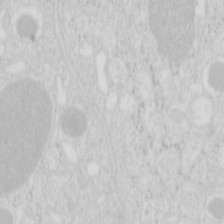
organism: Mouse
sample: Pancreas